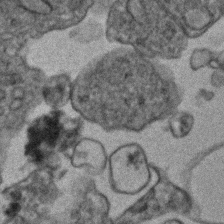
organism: Human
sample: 1205lu cells